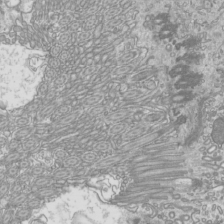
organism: Mouse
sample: Cilia; mouse epididymis